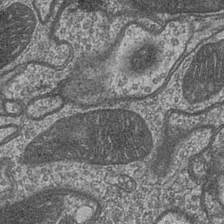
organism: Drosophila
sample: Optic medulla